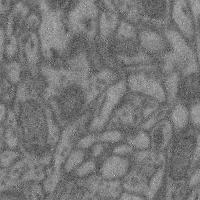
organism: Mouse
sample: Cerebral cortex